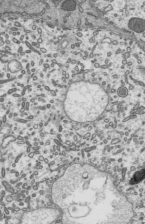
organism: Mouse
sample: Mouse epididymis efferent ductule cilia